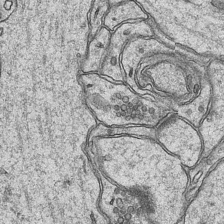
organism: Mouse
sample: CA1 Hippocampus